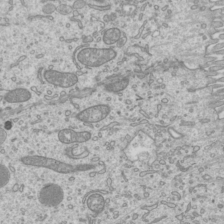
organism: Mouse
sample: Cilia; mouse epididymis